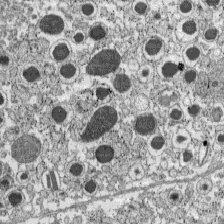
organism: C57BL Mouse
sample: Pancreatic islet